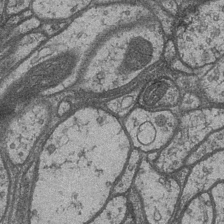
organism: Drosophila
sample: Optic medulla